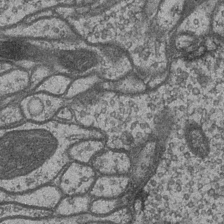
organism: Drosophila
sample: Optic medulla